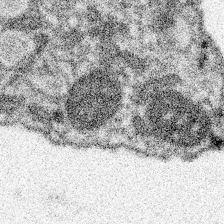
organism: Spongilla lacustris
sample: Neuroid cell